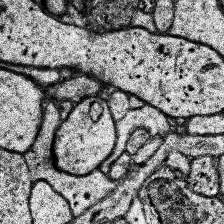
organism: Human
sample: Temporal Lobe